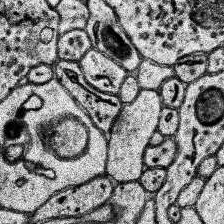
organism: Human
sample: Temporal Lobe